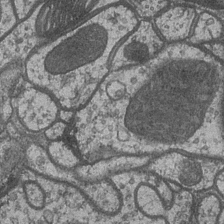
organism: Drosophila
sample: Optic medulla